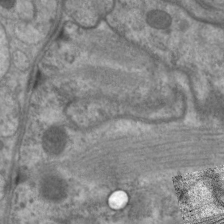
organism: C. elegans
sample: Pharynx